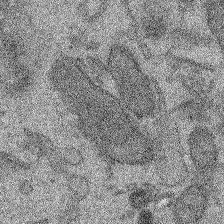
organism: Human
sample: HeLa cells